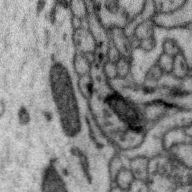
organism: Zebra finch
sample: Brain